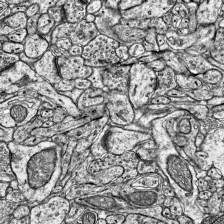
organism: Mouse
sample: Visual Cortex